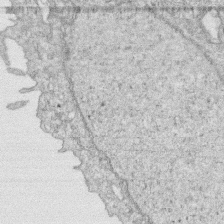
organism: Human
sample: HeLa cell HIV synapse